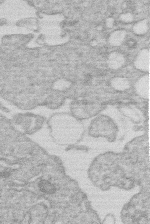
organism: Human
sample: Macrophage cells